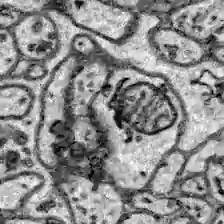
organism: Zebrafish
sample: Brain